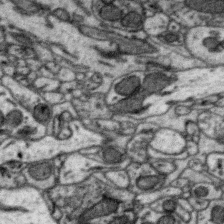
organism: Zebra finch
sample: Brain